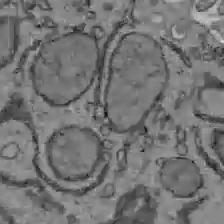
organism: C57BL Mouse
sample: Liver